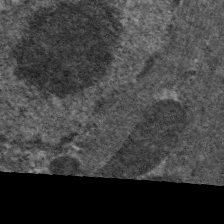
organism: C. elegans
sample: Pharynx